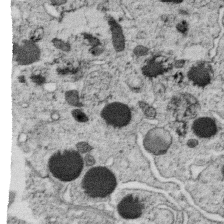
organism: C. elegans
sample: C. elegans oocyte; sperm cells